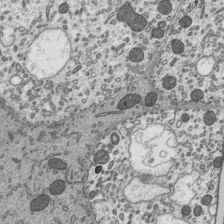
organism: Mouse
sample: Mouse epididymis efferent ductule cilia